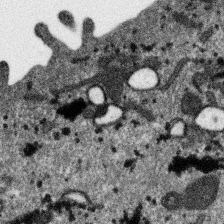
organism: Human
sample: Lung epithelial cells infected with SARS-CoV-2